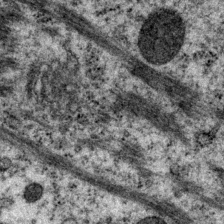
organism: P. pacificus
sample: Pharynx